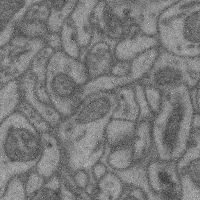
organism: Mouse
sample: Cerebral cortex